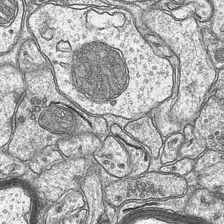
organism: Mouse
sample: CA1 Hippocampus